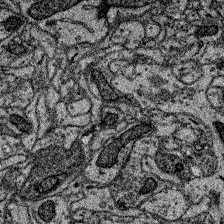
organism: Zebrafish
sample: Larval olfactory bulb